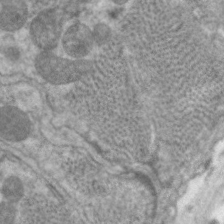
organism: C. elegans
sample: Pharynx